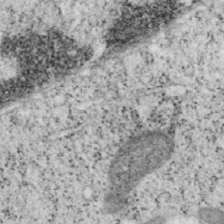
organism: Mouse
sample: OT-I killer T cells with ID8 ovarian cancer cells